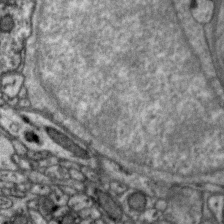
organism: Zebra finch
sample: Brain